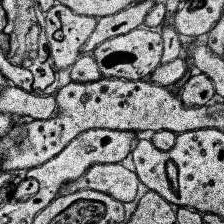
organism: Human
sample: Temporal Lobe